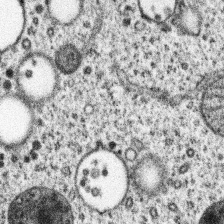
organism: Human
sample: HeLa cells